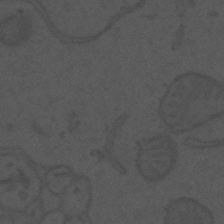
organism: Mouse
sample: Suprachiasmatic nucleus